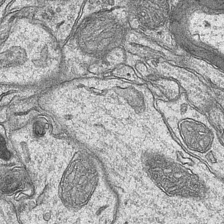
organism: Mouse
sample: CA1 Hippocampus